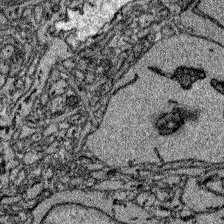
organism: Zebrafish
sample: Larval olfactory bulb